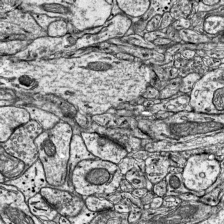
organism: Mouse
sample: Visual Cortex